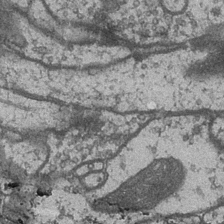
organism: Drosophila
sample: Optic medulla